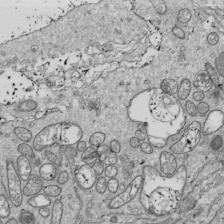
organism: Drosophila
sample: Cell division; meiosis; drosophila spermatocytes